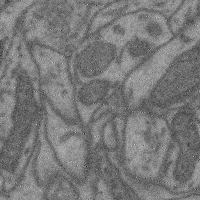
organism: Mouse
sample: Cerebral cortex